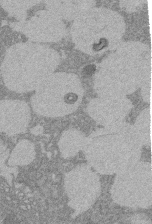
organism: Rat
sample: Salivary granule